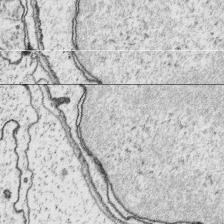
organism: Platynereis dumerilii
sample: Parapodia